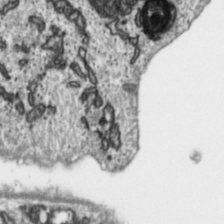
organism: Toxoplasma gondii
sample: Parasites in a vacuole inside a host cell